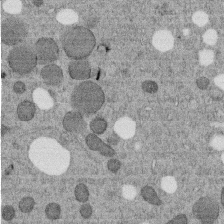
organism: C. elegans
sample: C. elegans embryo early stage